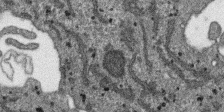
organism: Human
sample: Lung epithelial cells infected with SARS-CoV-2